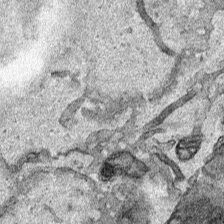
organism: Human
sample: Mitochondria in HCT116 cells